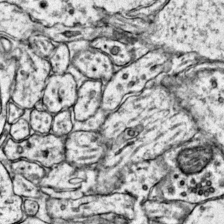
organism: Mouse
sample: Primary visual cortex